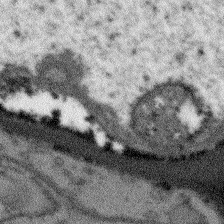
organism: Arabidopsis thaliana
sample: Root tip